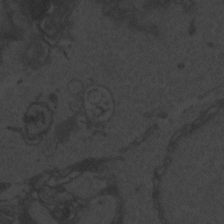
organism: Zebrafish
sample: Macrophage infected with Toxoplasma gondii